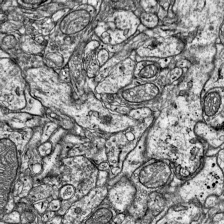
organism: Mouse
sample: Visual Cortex